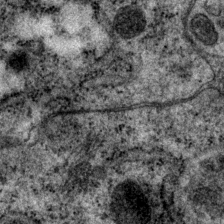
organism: P. pacificus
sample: Pharynx